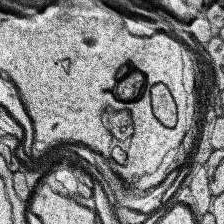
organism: Human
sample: Temporal Lobe